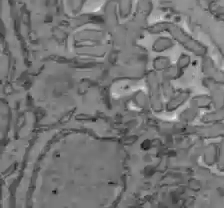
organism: C57BL Mouse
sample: Liver